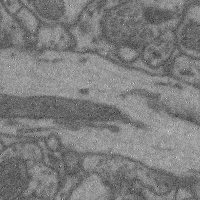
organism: Mouse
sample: Cerebral cortex